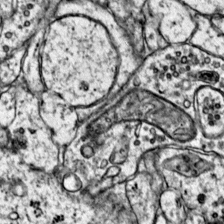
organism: Mouse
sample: Primary visual cortex